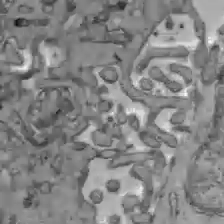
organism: C57BL Mouse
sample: Liver